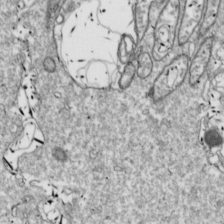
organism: Drosophila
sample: Cell division; meiosis; drosophila spermatocytes